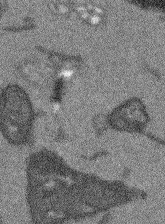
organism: Arabidopsis thaliana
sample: Root tip